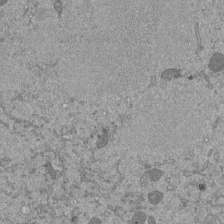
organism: Mouse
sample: ED-1 cell nuclei; centrioles